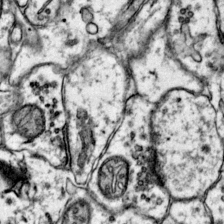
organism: Mouse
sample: Primary visual cortex